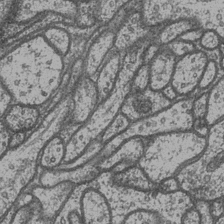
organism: Drosophila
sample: Optic medulla